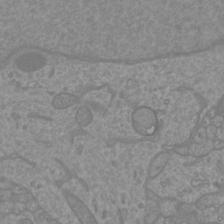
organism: Mouse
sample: Cortical neurons